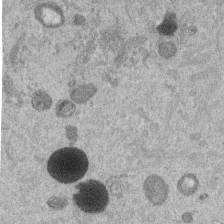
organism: Mouse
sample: Dividing mouse embryo 1 cell stage